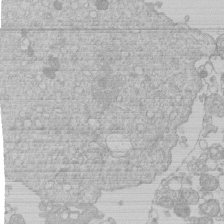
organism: Human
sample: Macrophage cells